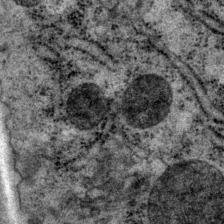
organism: P. pacificus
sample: Pharynx